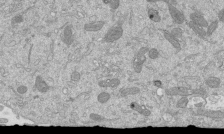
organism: Mouse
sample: ED-1 cell nuclei; centrioles